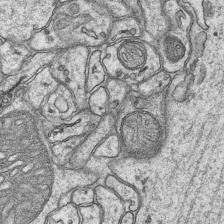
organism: Mouse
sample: CA1 Hippocampus